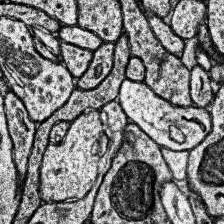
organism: Human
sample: Temporal Lobe